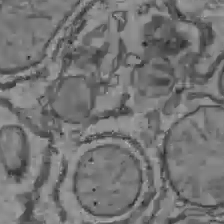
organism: C57BL Mouse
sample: Liver